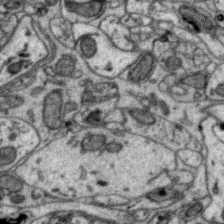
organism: Zebra finch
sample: Brain